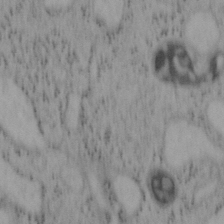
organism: Mouse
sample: OT-I killer T cells with ID8 ovarian cancer cells